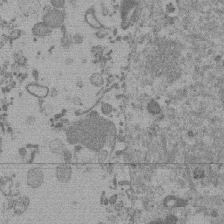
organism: Mouse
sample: Dividing mouse embryo 1 cell stage